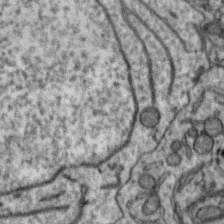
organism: Zebra finch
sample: Brain